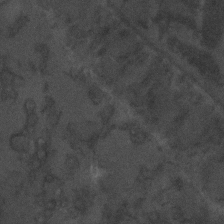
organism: C. elegans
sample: C. elegans embryo